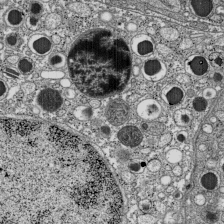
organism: C57BL Mouse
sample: Pancreatic islet